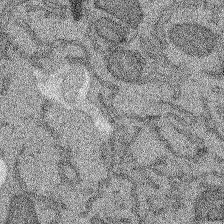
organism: Human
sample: HeLa cells